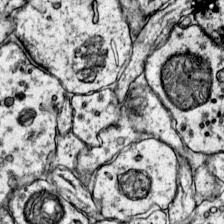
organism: Mouse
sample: Primary visual cortex